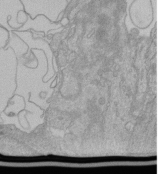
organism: Human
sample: Retinal organoid Rod and Cone cells